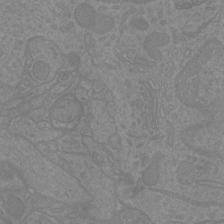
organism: Mouse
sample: Cortical neurons